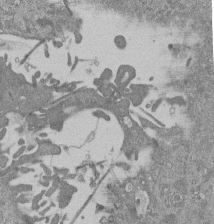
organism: Mouse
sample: ED-1 cell nuclei; centrioles